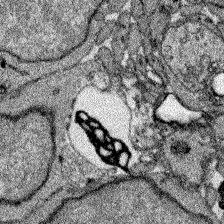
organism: Zebrafish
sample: Larval olfactory bulb